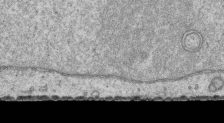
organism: Human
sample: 1205lu cells